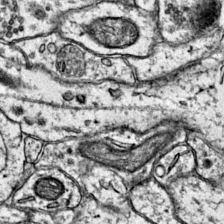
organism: Mouse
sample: Primary visual cortex